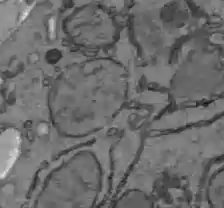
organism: C57BL Mouse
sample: Liver